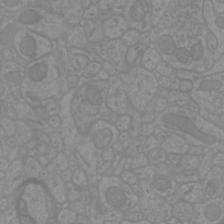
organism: Mouse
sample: Cortical neurons